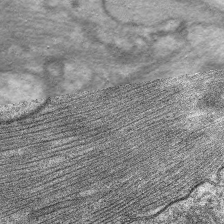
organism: C. elegans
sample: Pharynx